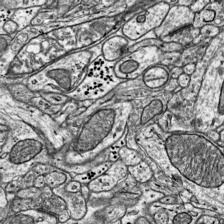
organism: Mouse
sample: Visual Cortex